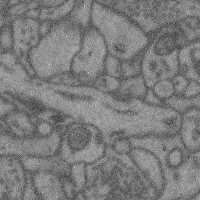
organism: Mouse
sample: Cerebral cortex